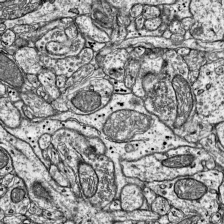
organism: Mouse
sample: Visual Cortex